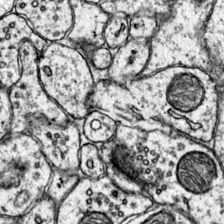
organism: Mouse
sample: Primary visual cortex